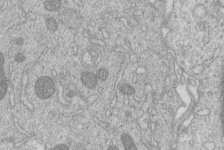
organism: Human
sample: Macrophage cells